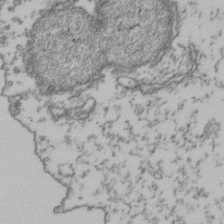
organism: Human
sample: Activated Jurkat CD4+ T cells